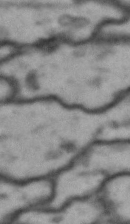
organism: Drosophila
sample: Brain